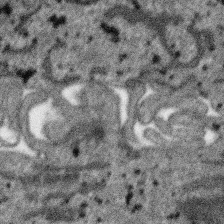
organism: Human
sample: Lung epithelial cells infected with SARS-CoV-2